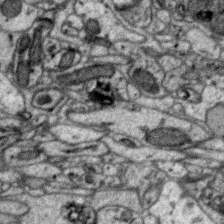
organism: Zebra finch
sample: Brain